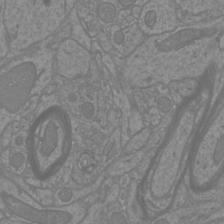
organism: Mouse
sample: Cortical neurons